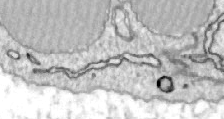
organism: Zebrafish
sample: Actinotrichia fibers